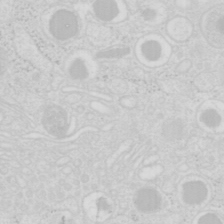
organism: Mouse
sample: Pancreas